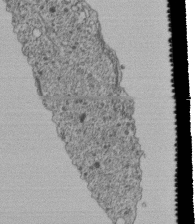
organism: Human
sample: Retinal organoid Rod and Cone cells